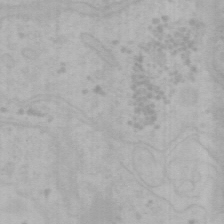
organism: Mouse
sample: Choroid plexus